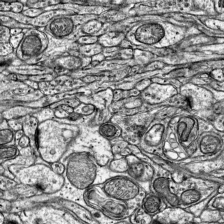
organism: Mouse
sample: Visual Cortex